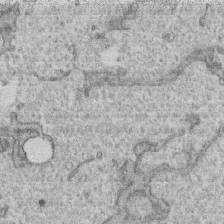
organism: Human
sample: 1205lu cells